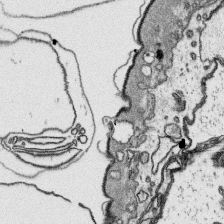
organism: Platynereis dumerilii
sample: Parapodia